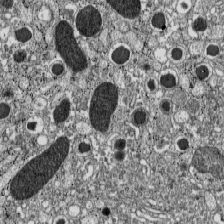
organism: C57BL Mouse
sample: Pancreatic islet